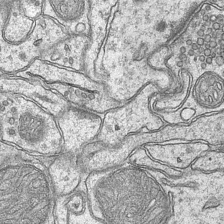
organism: Mouse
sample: CA1 Hippocampus